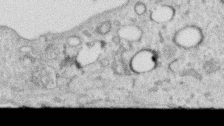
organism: Human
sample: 1205lu cells